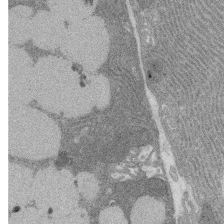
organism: Rat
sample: Salivary granule